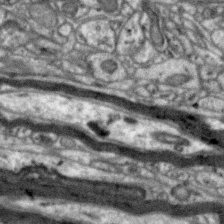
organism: Zebra finch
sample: Brain